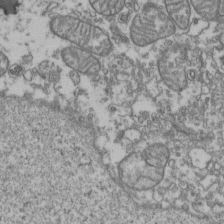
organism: Human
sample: Activated Jurkat CD4+ T cells